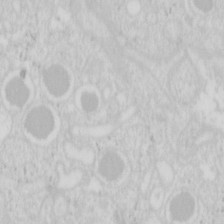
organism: Mouse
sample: Pancreas